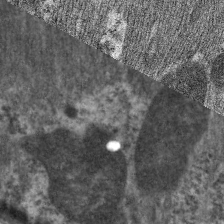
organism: C. elegans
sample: Pharynx